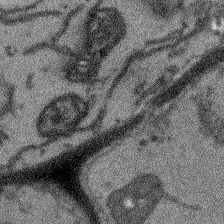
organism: Arabidopsis thaliana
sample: Root tip